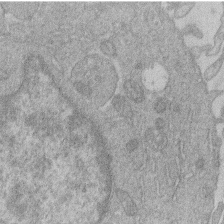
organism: Human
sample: Macrophage cells